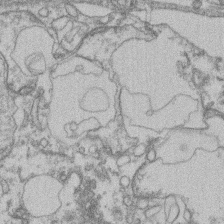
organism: Mouse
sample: T cell stromal cell synapse